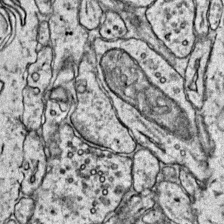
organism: Mouse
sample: Primary visual cortex